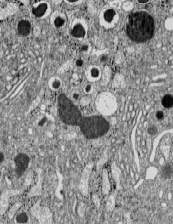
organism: C57BL Mouse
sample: Pancreatic islet